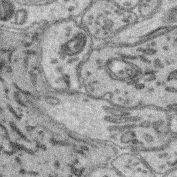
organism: Mouse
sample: Retina